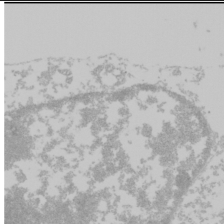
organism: Mouse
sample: Cancer cell death in ED-1 cells